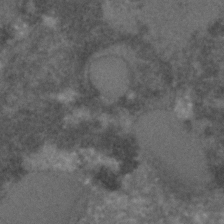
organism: C. elegans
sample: C. elegans embryo